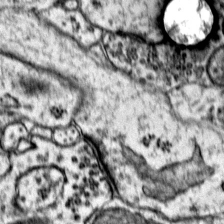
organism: Mouse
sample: Primary visual cortex